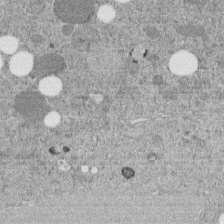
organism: C. elegans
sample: C. elegans embryo early stage